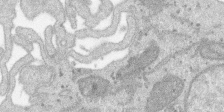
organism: Human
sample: Lung epithelial cells infected with SARS-CoV-2